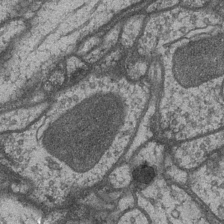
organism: Drosophila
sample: Optic medulla